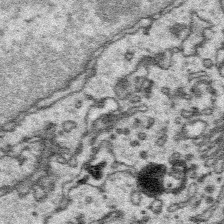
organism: Platynereis dumerilii